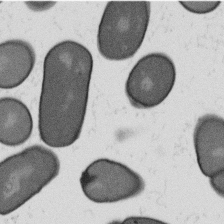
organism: B. subtilis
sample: Bacterial spore